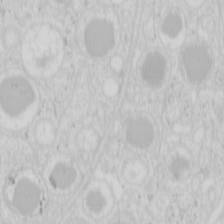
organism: Mouse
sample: Pancreas